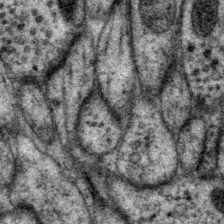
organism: P. pacificus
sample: Pharynx